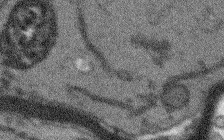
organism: Arabidopsis thaliana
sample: Root tip